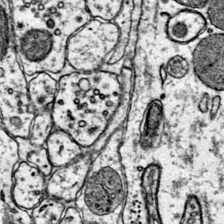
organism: Mouse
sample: Primary visual cortex